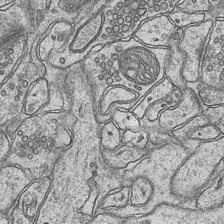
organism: Mouse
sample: CA1 Hippocampus